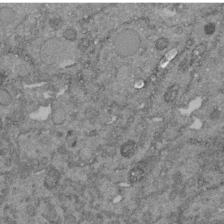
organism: C. elegans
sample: C. elegans embryo early stage